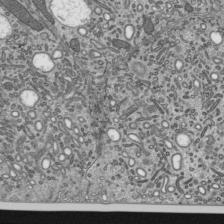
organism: Mouse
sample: Mouse epididymis efferent ductule cilia